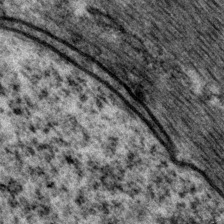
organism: P. pacificus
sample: Pharynx